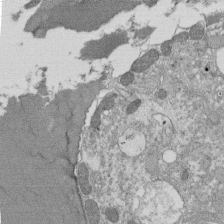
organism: Tetrahymena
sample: Cilia in tetrahymena